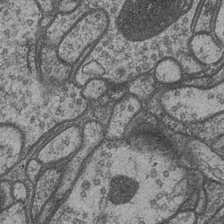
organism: Drosophila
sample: Optic medulla